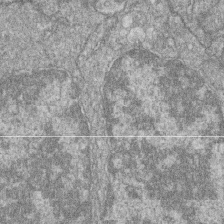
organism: Zebrafish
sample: Cilia; retinal pigment epithelium